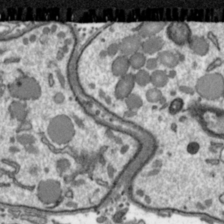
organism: Toxoplasma gondii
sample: Parasites in a vacuole inside a host cell